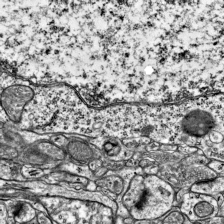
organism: Mouse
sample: Visual Cortex